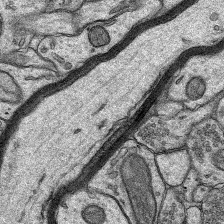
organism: Rat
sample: Hippocampus